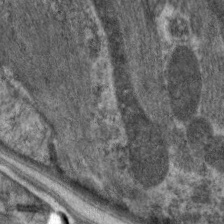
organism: C. elegans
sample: Pharynx